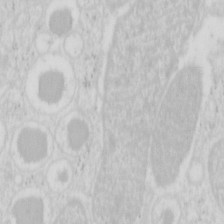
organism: Mouse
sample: Pancreas